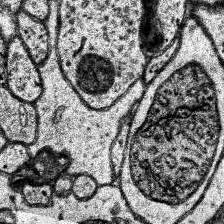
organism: Human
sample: Temporal Lobe